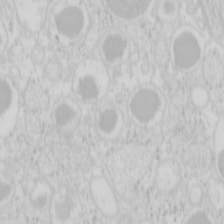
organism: Mouse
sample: Pancreas